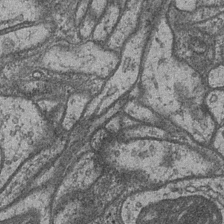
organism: Drosophila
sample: Optic medulla